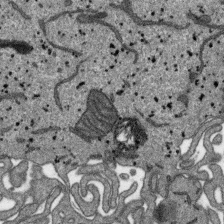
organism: Human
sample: Lung epithelial cells, uninfected (mock) control